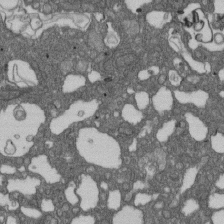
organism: Drosophila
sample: Nephrocyte